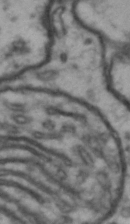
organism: Drosophila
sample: Brain